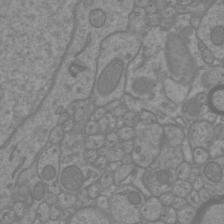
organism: Mouse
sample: Cortical neurons